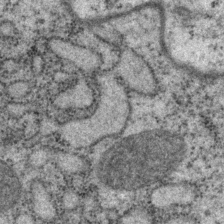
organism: P. pacificus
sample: Pharynx